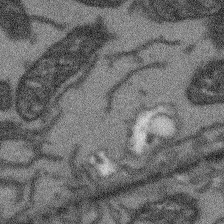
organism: Arabidopsis thaliana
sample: Root tip